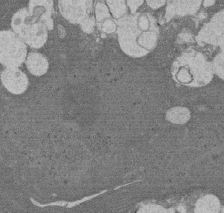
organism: Rat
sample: Salivary granule